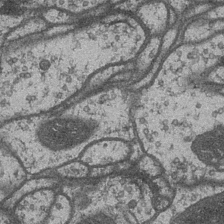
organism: Drosophila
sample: Optic medulla